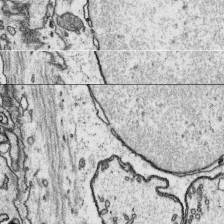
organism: Platynereis dumerilii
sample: Parapodia